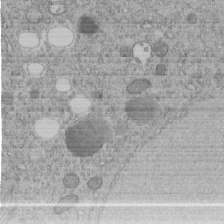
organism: C. elegans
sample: C. elegans embryo early stage